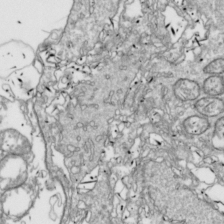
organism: Drosophila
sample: Cell division; meiosis; drosophila spermatocytes